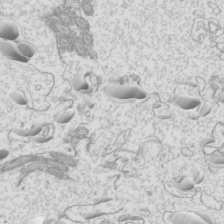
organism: Mouse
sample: Cilia; mouse epididymis